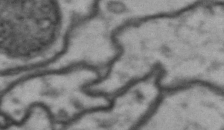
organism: Drosophila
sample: Brain